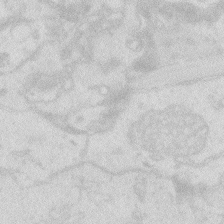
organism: Zebrafish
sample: Macrophage